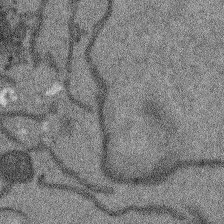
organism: Arabidopsis thaliana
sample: Root tip